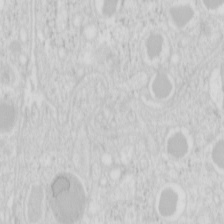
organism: Mouse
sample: Pancreas